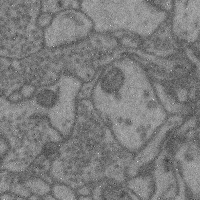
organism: Mouse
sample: Cerebral cortex